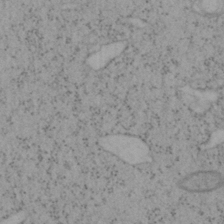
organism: Mouse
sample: OT-I killer T cells with ID8 ovarian cancer cells